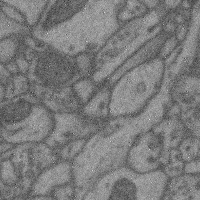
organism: Mouse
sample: Cerebral cortex